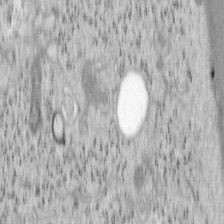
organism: Human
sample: HeLa cells